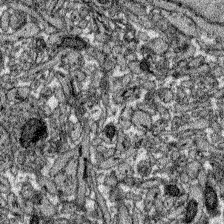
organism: Zebrafish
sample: Larval olfactory bulb